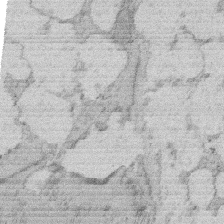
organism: Rat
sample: Salivary granule